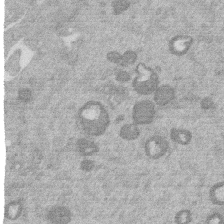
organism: Mouse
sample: Dividing mouse embryo 1 cell stage